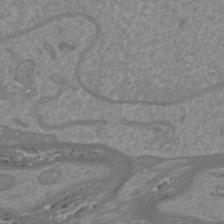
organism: Mouse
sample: Cortical neurons